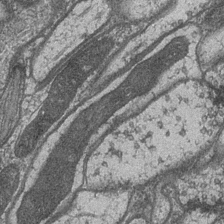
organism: Drosophila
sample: Optic medulla